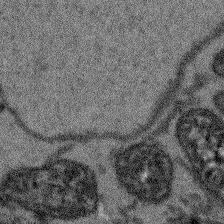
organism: Arabidopsis thaliana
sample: Root tip